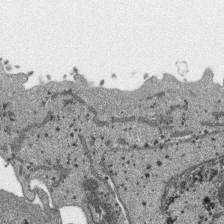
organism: Human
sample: Lung epithelial cells infected with SARS-CoV-2